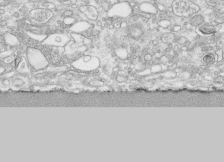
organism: Human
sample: CRL-1474